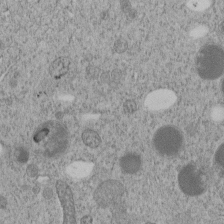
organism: C. elegans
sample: C. elegans embryo early stage